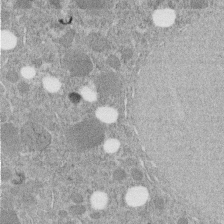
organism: C. elegans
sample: C. elegans embryo early stage